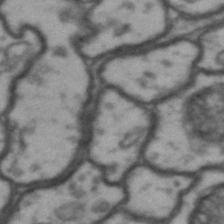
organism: Drosophila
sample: Brain